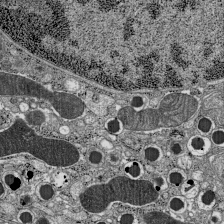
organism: C57BL Mouse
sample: Pancreatic islet